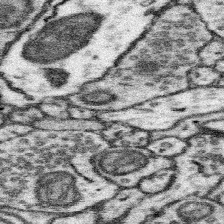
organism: Mouse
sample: Somatosensory cortex neuropil